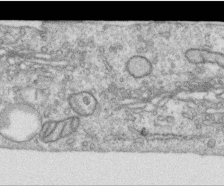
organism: Human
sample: Centriole in RPE cells